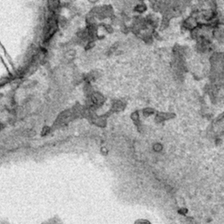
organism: Human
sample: Mitochondria in HCT116 cells